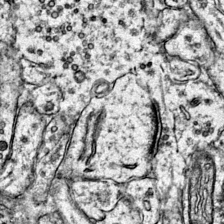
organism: Mouse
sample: Primary visual cortex